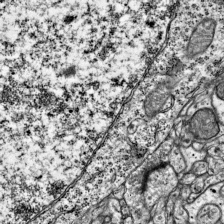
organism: Mouse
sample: Visual Cortex